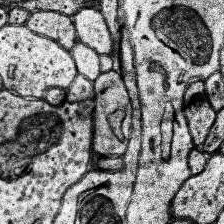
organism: Human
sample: Temporal Lobe